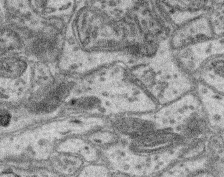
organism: Mouse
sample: Retina